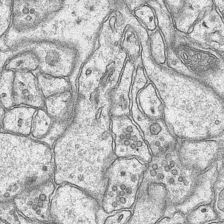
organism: Mouse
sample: CA1 Hippocampus